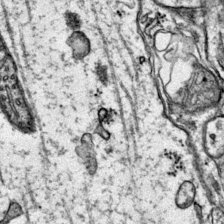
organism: Mouse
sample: Primary visual cortex